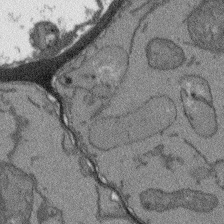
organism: Arabidopsis thaliana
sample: Root tip